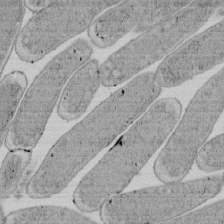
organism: E. coli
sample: Bacterial nucleoid